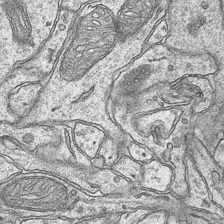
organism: Mouse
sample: CA1 Hippocampus